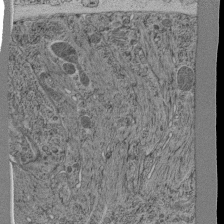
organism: C. elegans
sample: C. elegans pharynx